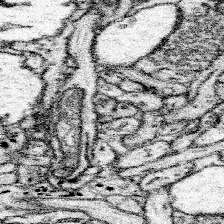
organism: Mouse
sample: Somatosensory cortex neuropil